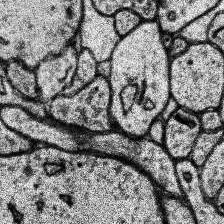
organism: Human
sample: Temporal Lobe